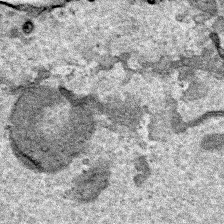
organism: Human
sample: Mitochondria in HCT116 cells